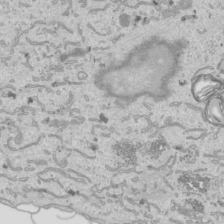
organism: Human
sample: Mitochondria in HCT116 cells